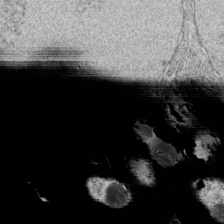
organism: C. elegans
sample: C. elegans embryo early stage